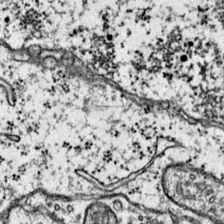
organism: Mouse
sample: Primary visual cortex